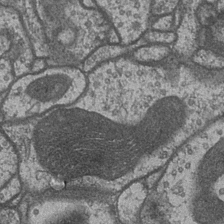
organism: Drosophila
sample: Optic medulla